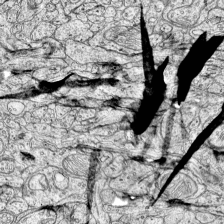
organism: Mouse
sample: Visual Cortex